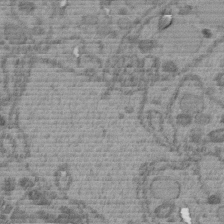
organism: C. elegans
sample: C. elegans embryo early stage